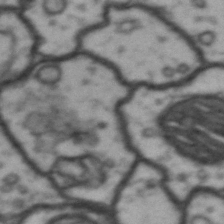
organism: Drosophila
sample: Brain